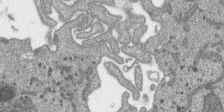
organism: Human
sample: Lung epithelial cells infected with SARS-CoV-2